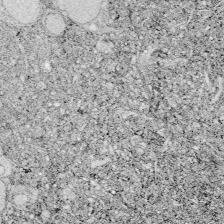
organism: Zebrafish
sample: Whole-Brain